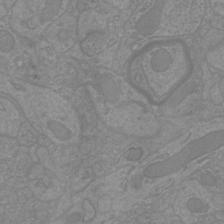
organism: Mouse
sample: Cortical neurons